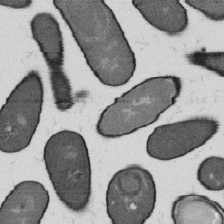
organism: B. subtilis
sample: Bacterial spore